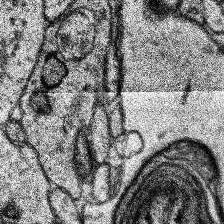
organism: Human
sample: Temporal Lobe